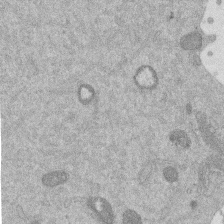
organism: Mouse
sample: Dividing mouse embryo 1 cell stage